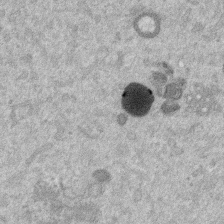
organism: Mouse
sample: Dividing mouse embryo 1 cell stage